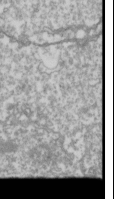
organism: Drosophila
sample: Cell division; meiosis; drosophila spermatocytes